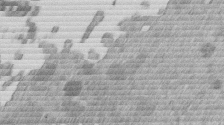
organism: Mouse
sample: Dividing mouse embryo 1 cell stage